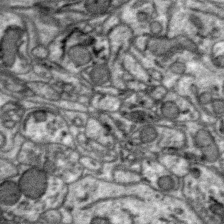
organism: Zebra finch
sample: Brain